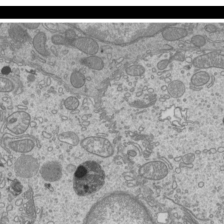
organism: Mouse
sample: Cilia; mouse epididymis